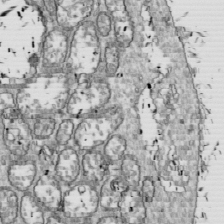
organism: Drosophila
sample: Cell division; meiosis; drosophila spermatocytes